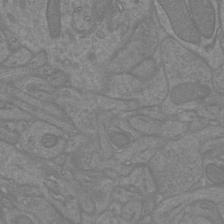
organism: Mouse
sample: Cortical neurons